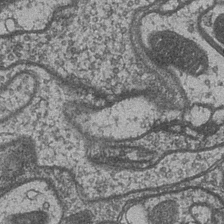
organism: Drosophila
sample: Optic medulla